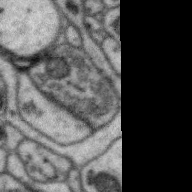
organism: Zebra finch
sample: Brain